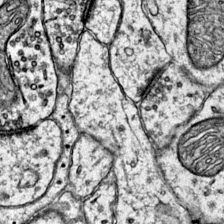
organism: Mouse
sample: Primary visual cortex